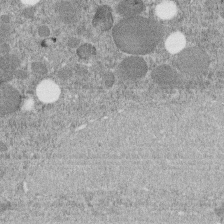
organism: C. elegans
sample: C. elegans embryo early stage